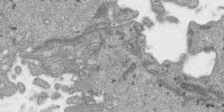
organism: Human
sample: Lung epithelial cells infected with SARS-CoV-2